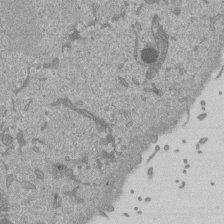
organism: Mouse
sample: ED-1 cell nuclei; centrioles